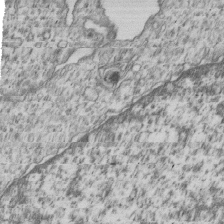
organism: Human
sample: MDA-MB-231 cells